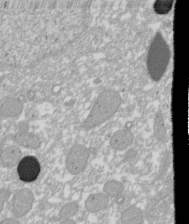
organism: Xenopus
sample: Cilia; centrioles in frog embryo cells